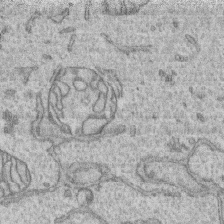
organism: Human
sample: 1205lu cells